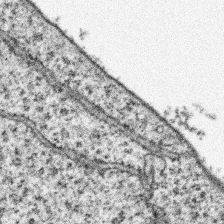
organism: Human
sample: HeLa cells